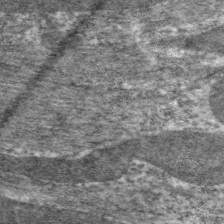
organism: C. elegans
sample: Pharynx